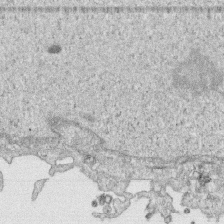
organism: Human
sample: HeLa cell HIV synapse